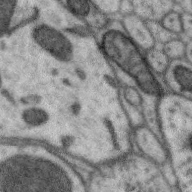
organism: Zebra finch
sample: Brain